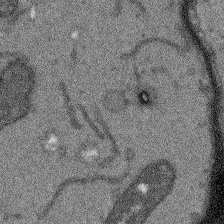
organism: Arabidopsis thaliana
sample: Root tip